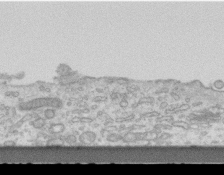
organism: Mouse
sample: Centriole in ependymal cells